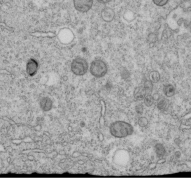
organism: C. elegans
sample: C. elegans embryo early stage